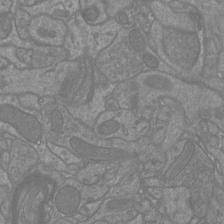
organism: Mouse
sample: Cortical neurons